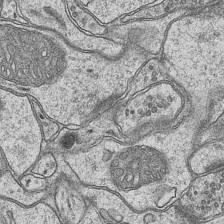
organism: Mouse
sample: CA1 Hippocampus